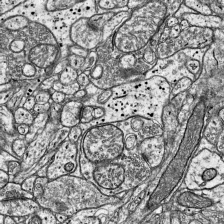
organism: Mouse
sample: Visual Cortex